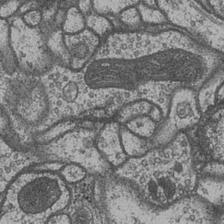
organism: Drosophila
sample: Optic medulla